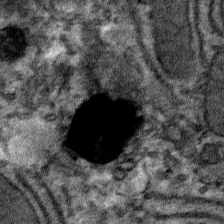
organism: Mouse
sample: Mouse hepatocytes